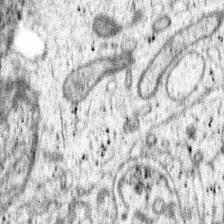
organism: Human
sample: HeLa cells